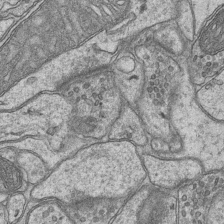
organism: Mouse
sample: CA1 Hippocampus